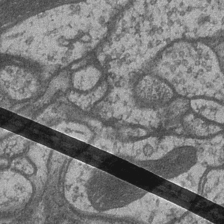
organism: Drosophila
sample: Optic medulla